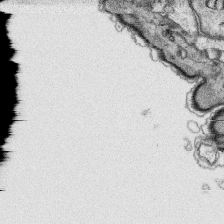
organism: Platynereis dumerilii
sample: Parapodia